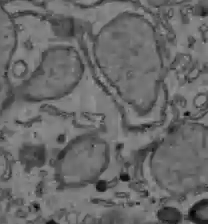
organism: C57BL Mouse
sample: Liver